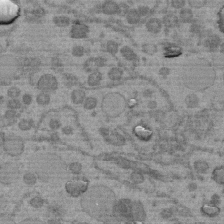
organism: C. elegans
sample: C. elegans embryo early stage